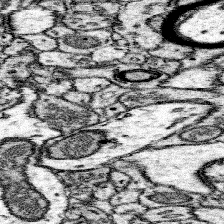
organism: Mouse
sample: Somatosensory cortex neuropil